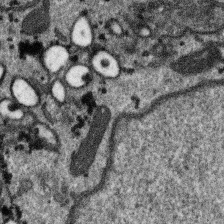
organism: Human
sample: Lung epithelial cells infected with SARS-CoV-2